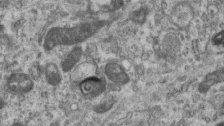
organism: Mouse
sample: Centriole in ependymal cells